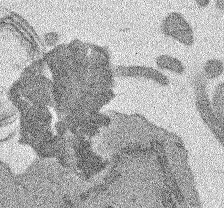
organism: Human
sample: HeLa cells